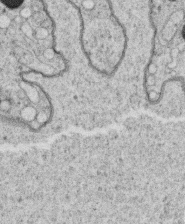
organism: C. elegans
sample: C. elegans oocyte; sperm cells